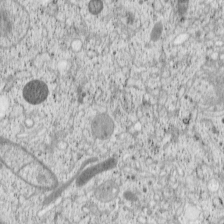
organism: African green monkey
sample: COS-7 cells